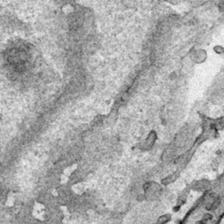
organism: Human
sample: Mitochondria in HCT116 cells